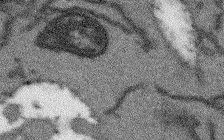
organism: Arabidopsis thaliana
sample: Root tip